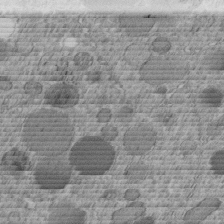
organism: C. elegans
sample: C. elegans embryo early stage